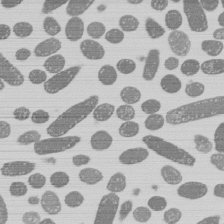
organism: E. coli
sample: Bacterial nucleoid